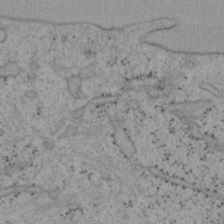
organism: Human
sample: HeLa cells